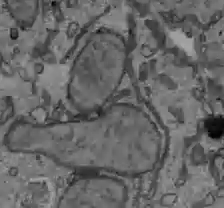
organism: C57BL Mouse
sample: Liver